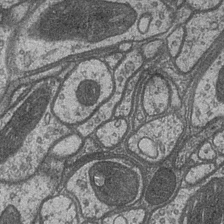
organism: Drosophila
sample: Optic medulla